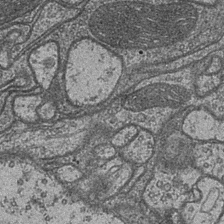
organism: Drosophila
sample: Optic medulla